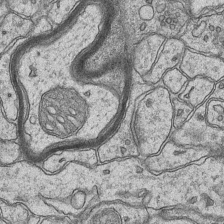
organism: Mouse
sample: CA1 Hippocampus